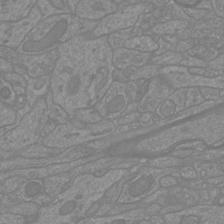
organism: Mouse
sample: Cortical neurons